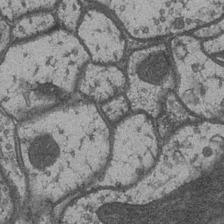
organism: Drosophila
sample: Optic medulla